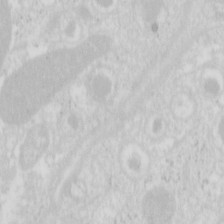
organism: Mouse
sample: Pancreas